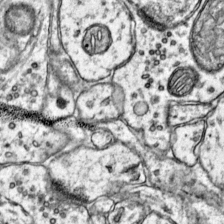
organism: Mouse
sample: Primary visual cortex